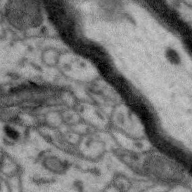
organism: Zebra finch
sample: Brain